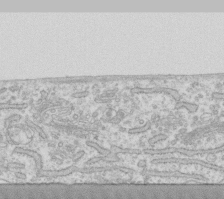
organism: Human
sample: Fibroblast cells